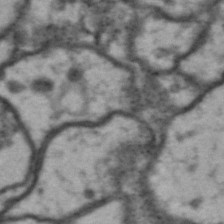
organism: Drosophila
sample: Brain